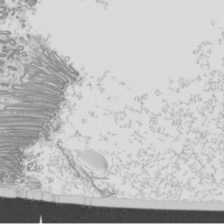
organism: Mouse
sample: Cilia; mouse epididymis